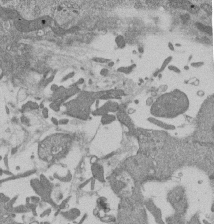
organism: Mouse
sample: ED-1 cell nuclei; centrioles